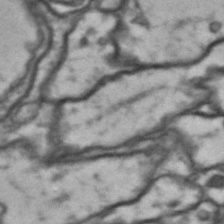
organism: Drosophila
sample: Brain